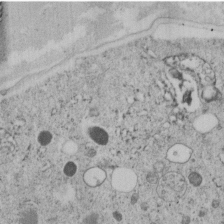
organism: C. elegans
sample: C. elegans embryo early stage